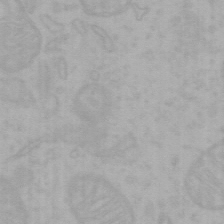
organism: Mouse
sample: Choroid plexus